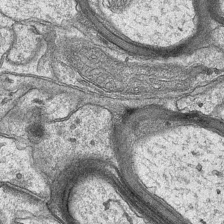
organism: Mouse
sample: CA1 Hippocampus